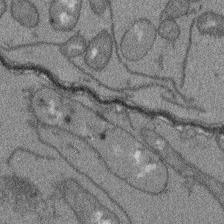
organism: Arabidopsis thaliana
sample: Root tip